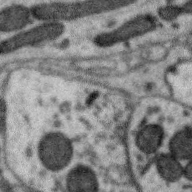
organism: Zebra finch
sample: Brain